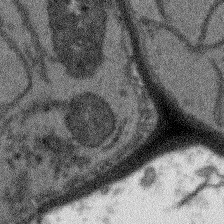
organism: Arabidopsis thaliana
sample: Root tip